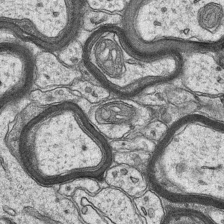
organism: Mouse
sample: CA1 Hippocampus